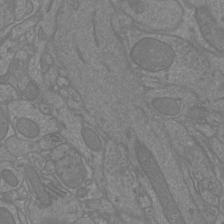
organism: Mouse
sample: Cortical neurons